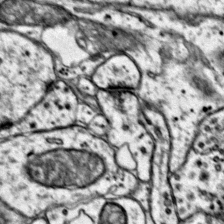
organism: Mouse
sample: Primary visual cortex